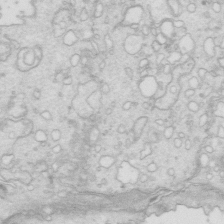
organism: Mouse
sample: Multiciliated cells